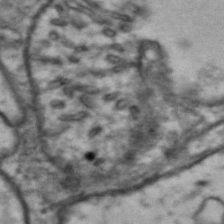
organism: Drosophila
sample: Brain